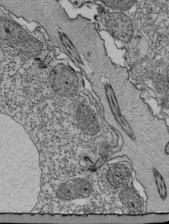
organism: Tetrahymena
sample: Cilia in tetrahymena